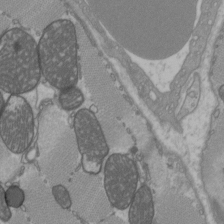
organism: C57BL Mouse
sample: Heart